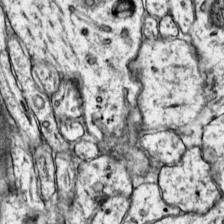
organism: Mouse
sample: Primary visual cortex